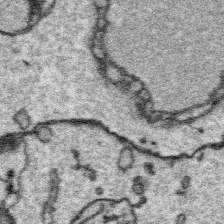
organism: Platynereis dumerilii